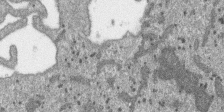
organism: Human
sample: Lung epithelial cells infected with SARS-CoV-2